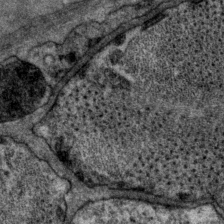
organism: P. pacificus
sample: Pharynx